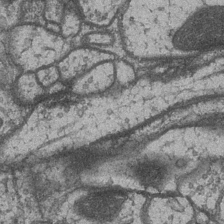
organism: Drosophila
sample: Optic medulla